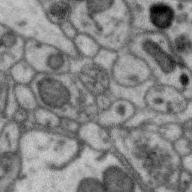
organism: Zebra finch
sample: Brain